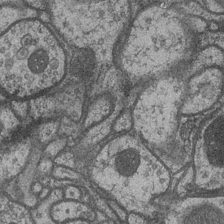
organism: Drosophila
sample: Optic medulla